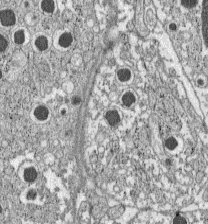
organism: C57BL Mouse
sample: Pancreatic islet